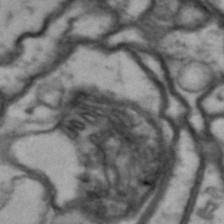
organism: Drosophila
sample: Brain